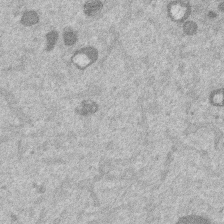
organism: Mouse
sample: Dividing mouse embryo 1 cell stage